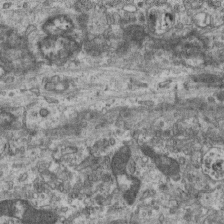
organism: Mouse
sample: Centriole in ependymal cells